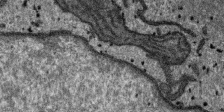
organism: Human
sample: Lung epithelial cells, uninfected (mock) control